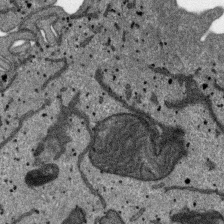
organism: Human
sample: Lung epithelial cells, uninfected (mock) control